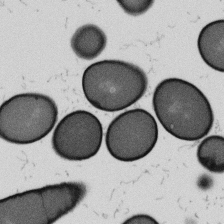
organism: B. subtilis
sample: Bacterial spore